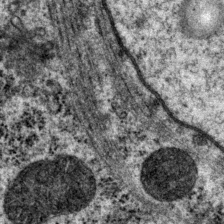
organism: P. pacificus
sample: Pharynx